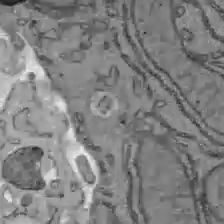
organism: C57BL Mouse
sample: Liver